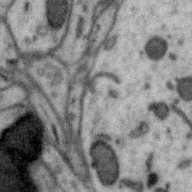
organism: Zebra finch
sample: Brain